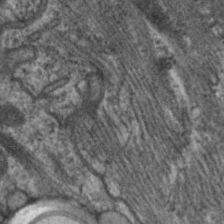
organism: C. elegans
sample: Pharynx